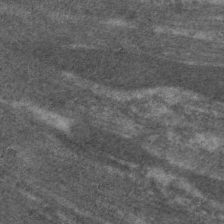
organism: C. elegans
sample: Pharynx